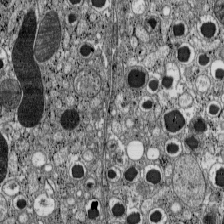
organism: C57BL Mouse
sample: Pancreatic islet